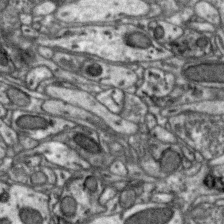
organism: Zebra finch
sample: Brain